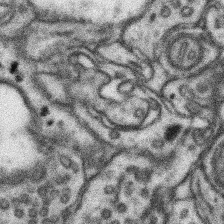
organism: Mouse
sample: Somatosensory cortex neuropil